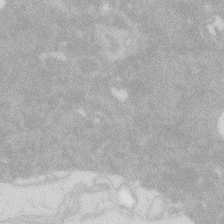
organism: Zebrafish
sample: Macrophage